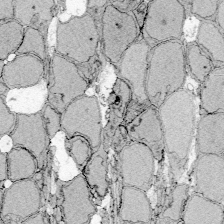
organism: Zebrafish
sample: Whole-Brain